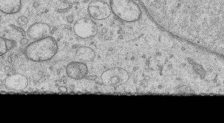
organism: Human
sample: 1205lu cells